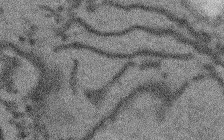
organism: Arabidopsis thaliana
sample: Root tip